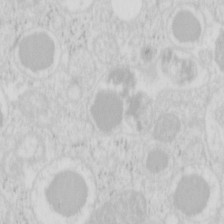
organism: Mouse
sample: Pancreas